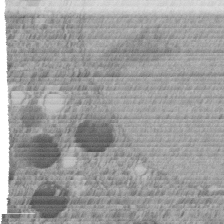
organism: C. elegans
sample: C. elegans embryo early stage